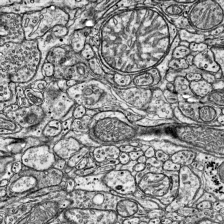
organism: Mouse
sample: Visual Cortex